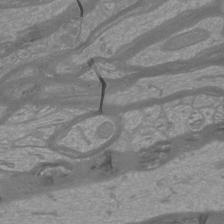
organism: Mouse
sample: Cortical neurons